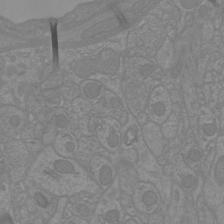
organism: Mouse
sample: Cortical neurons